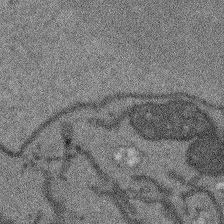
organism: Arabidopsis thaliana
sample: Root tip